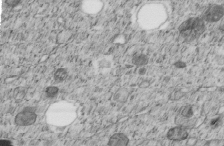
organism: C. elegans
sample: C. elegans embryo early stage